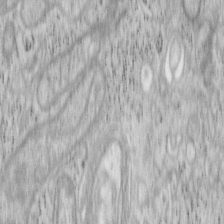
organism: Human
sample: HeLa cells